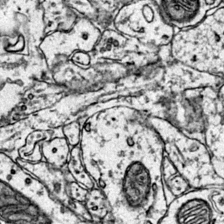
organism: Mouse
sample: Primary visual cortex